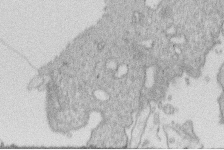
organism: Human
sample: Macrophage cells